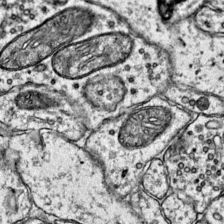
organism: Mouse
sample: Primary visual cortex